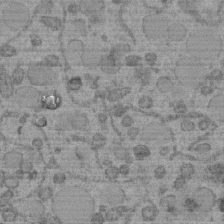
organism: C. elegans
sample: C. elegans embryo early stage